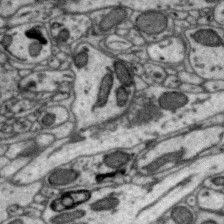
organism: Zebra finch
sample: Brain